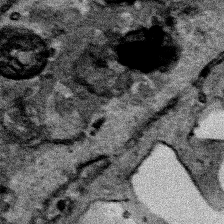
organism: Human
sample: Mitochondria in HCT116 cells